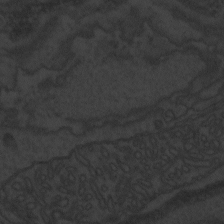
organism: Zebrafish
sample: Macrophage infected with Toxoplasma gondii